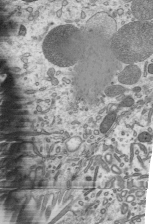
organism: Mouse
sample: Mouse epididymis efferent ductule cilia